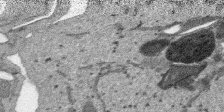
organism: Human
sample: Lung epithelial cells infected with SARS-CoV-2